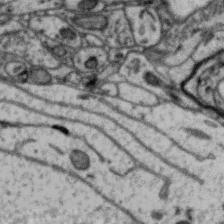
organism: Zebra finch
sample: Brain